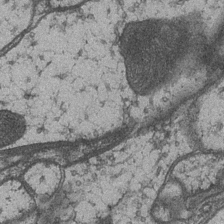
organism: Drosophila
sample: Optic medulla